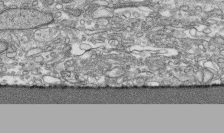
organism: Human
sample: CRL-1474